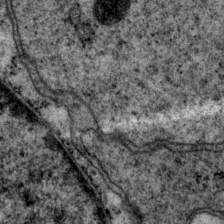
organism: P. pacificus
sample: Pharynx